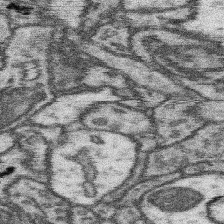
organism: Mouse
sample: Somatosensory cortex neuropil